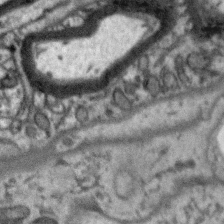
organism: Zebra finch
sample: Brain